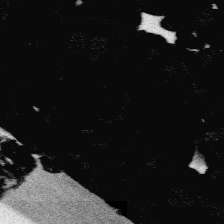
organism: Platynereis dumerilii